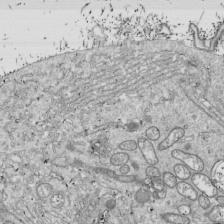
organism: Drosophila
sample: Cell division; meiosis; drosophila spermatocytes